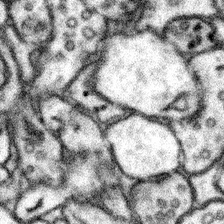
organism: Mouse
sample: Somatosensory cortex neuropil